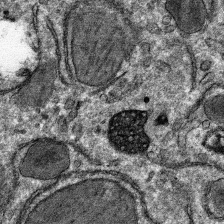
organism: Mouse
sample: Mouse hepatocytes